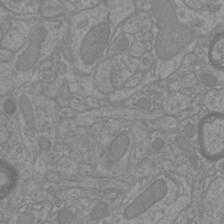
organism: Mouse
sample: Cortical neurons